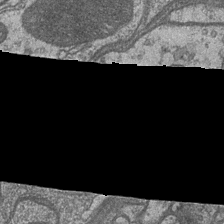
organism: Drosophila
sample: Optic medulla